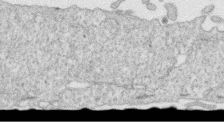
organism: Human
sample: HeLa cell HIV synapse